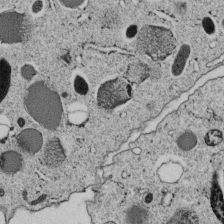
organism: C. elegans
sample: C. elegans embryo early stage